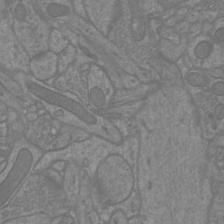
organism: Mouse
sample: Cortical neurons